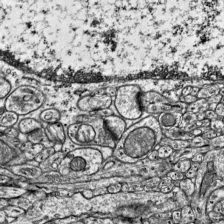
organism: Mouse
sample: Visual Cortex